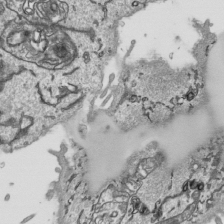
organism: Human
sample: Mitochondria in HCT116 cells